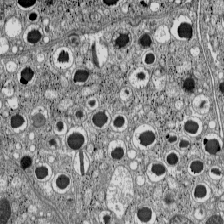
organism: C57BL Mouse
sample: Pancreatic islet